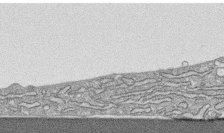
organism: Human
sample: CRL-1474